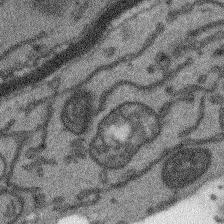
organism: Arabidopsis thaliana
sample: Root tip